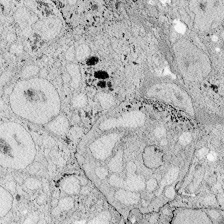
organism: Zebrafish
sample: Whole-Brain